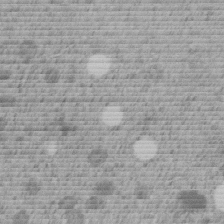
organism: C. elegans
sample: C. elegans embryo early stage